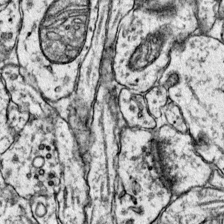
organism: Mouse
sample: Primary visual cortex